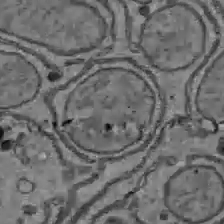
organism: C57BL Mouse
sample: Liver